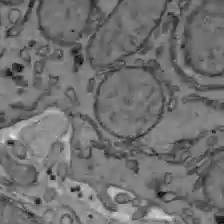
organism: C57BL Mouse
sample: Liver